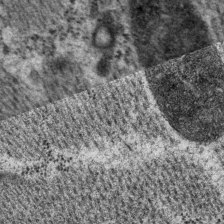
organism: P. pacificus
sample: Pharynx